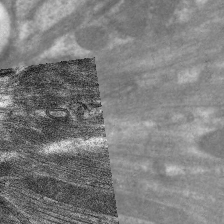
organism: C. elegans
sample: Pharynx